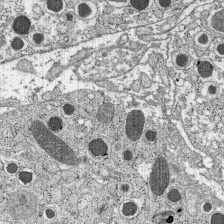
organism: C57BL Mouse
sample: Pancreatic islet